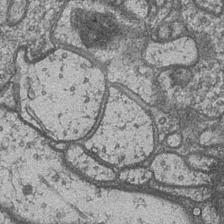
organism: Drosophila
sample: Optic medulla